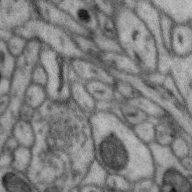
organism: Zebra finch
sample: Brain